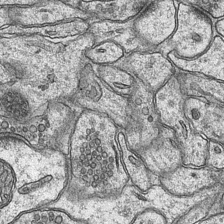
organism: Mouse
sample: CA1 Hippocampus